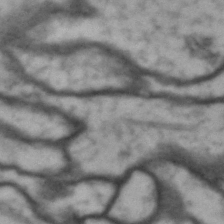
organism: Drosophila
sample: Brain